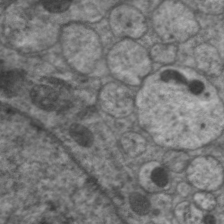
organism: C. elegans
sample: Pharynx